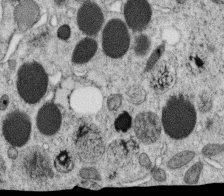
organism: C. elegans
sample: C. elegans oocyte; sperm cells